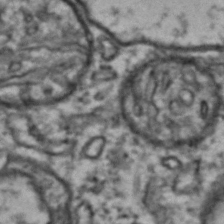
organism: Drosophila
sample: Brain